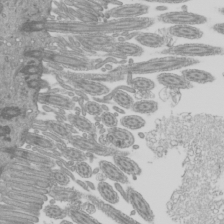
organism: Mouse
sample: Cilia; mouse epididymis